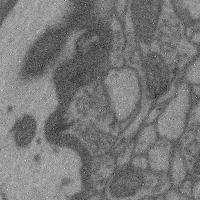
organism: Mouse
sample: Cerebral cortex